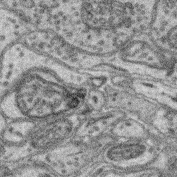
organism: Mouse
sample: Retina